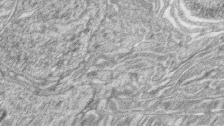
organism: Zebrafish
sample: synaptic ribbons in rod cells and cone cells